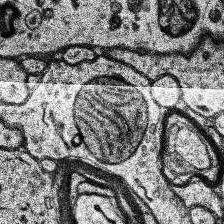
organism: Human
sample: Temporal Lobe